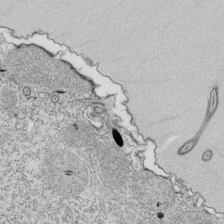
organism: Tetrahymena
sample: Cilia in tetrahymena